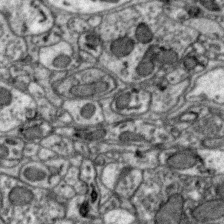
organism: Zebra finch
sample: Brain